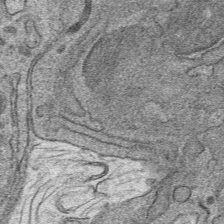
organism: Mouse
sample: Mouse hepatocytes